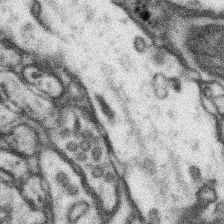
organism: Mouse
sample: Somatosensory cortex neuropil